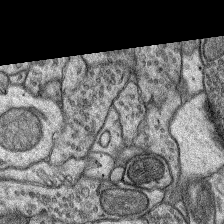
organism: Rat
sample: Hippocampus